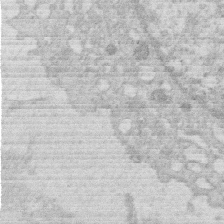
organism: Human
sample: Macrophage cells